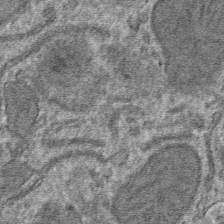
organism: Mouse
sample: Mouse hepatocytes